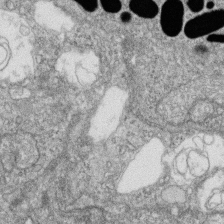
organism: Zebrafish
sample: Cilia; retinal pigment epithelium